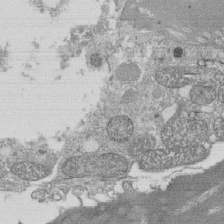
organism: Tetrahymena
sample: Cilia in tetrahymena